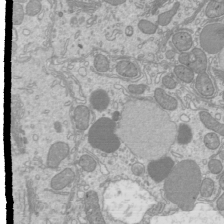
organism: Mouse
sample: Cilia; mouse epididymis